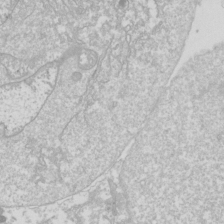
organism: Drosophila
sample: Cell division; meiosis; drosophila spermatocytes